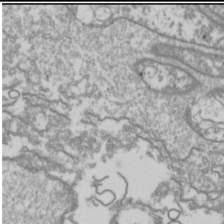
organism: Drosophila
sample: Cell division; meiosis; drosophila spermatocytes